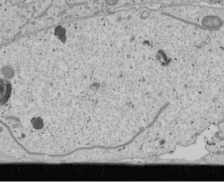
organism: Human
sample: Mitochondria in U2OS cells